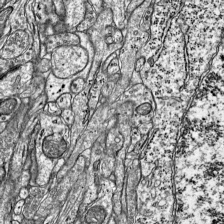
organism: Mouse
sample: Visual Cortex